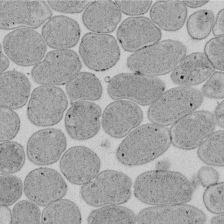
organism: E. coli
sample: Bacterial nucleoid